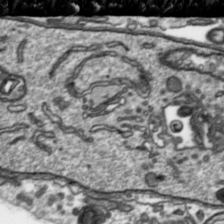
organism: Toxoplasma gondii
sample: Parasites in a vacuole inside a host cell